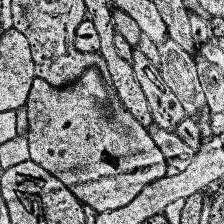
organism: Human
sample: Temporal Lobe